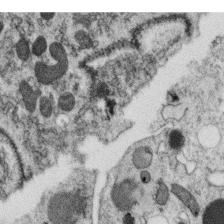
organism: C. elegans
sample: C. elegans oocyte; sperm cells